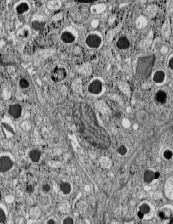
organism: C57BL Mouse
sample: Pancreatic islet